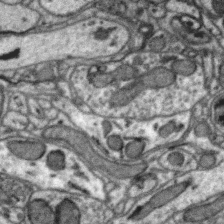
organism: Zebra finch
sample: Brain